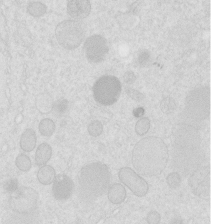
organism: C. elegans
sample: C. elegans embryo early stage